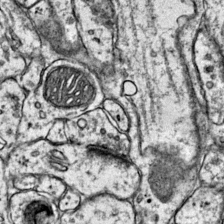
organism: Mouse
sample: Primary visual cortex